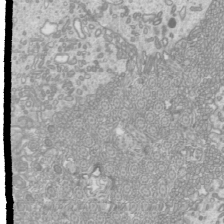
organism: Mouse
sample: Cilia; mouse epididymis